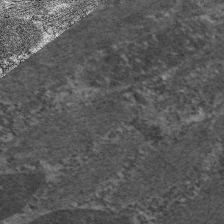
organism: C. elegans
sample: Pharynx